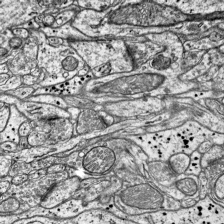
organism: Mouse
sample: Visual Cortex